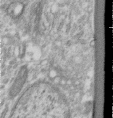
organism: Human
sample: Centriole in RPE cells